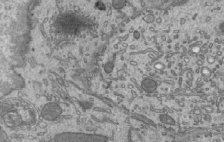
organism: Mouse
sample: Mouse epididymis efferent ductule cilia